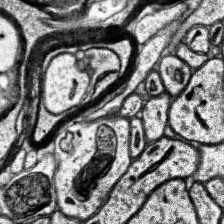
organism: Human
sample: Temporal Lobe